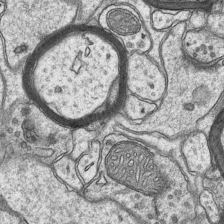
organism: Mouse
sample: CA1 Hippocampus